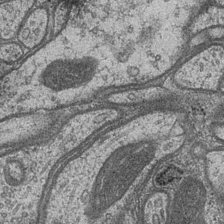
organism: Drosophila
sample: Optic medulla